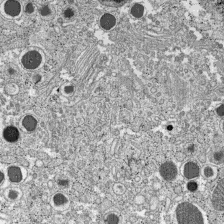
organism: C57BL Mouse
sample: Pancreatic islet